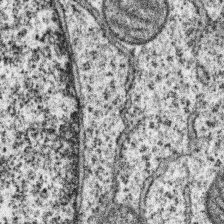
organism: Human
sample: HeLa cells